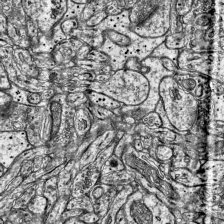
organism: Mouse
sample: Visual Cortex